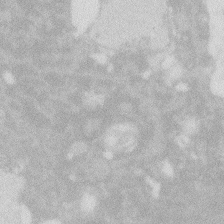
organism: Zebrafish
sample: Macrophage